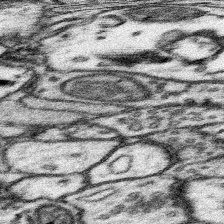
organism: Mouse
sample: Somatosensory cortex neuropil